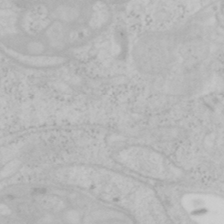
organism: Mouse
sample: OT-I killer T cells with ID8 ovarian cancer cells